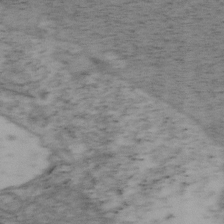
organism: Mouse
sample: OT-I killer T cells with ID8 ovarian cancer cells